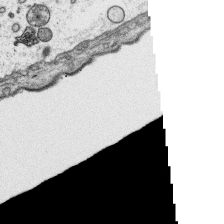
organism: Platynereis dumerilii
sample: Parapodia